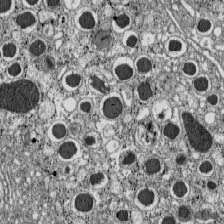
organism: C57BL Mouse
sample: Pancreatic islet